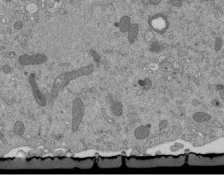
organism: Mouse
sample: ED-1 cell nuclei; centrioles